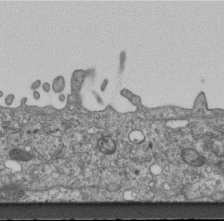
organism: Mouse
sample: Centriole in ependymal cells